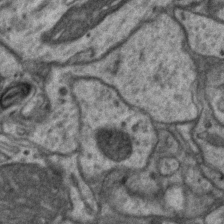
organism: Mouse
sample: CA1 Hippocampus